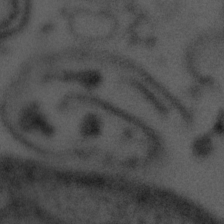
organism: Tuwongella immobilis